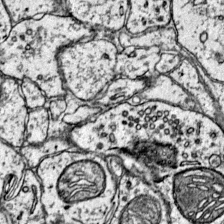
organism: Mouse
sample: Primary visual cortex